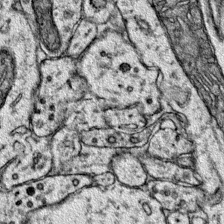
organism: Mouse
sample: Primary visual cortex